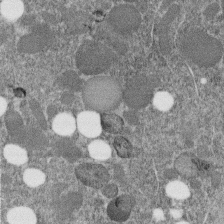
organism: C. elegans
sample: C. elegans embryo early stage